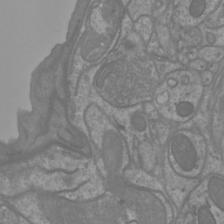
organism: Mouse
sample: Cortical neurons